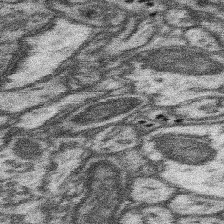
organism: Mouse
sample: Somatosensory cortex neuropil